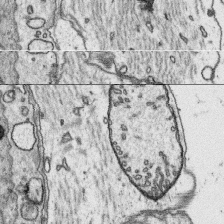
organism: Platynereis dumerilii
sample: Parapodia